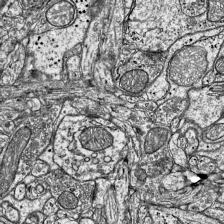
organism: Mouse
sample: Visual Cortex